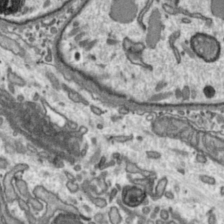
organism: Toxoplasma gondii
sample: Parasites in a vacuole inside a host cell